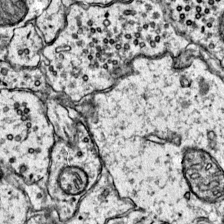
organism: Mouse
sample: Primary visual cortex